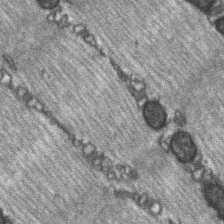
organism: C57BL Mouse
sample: Soleus